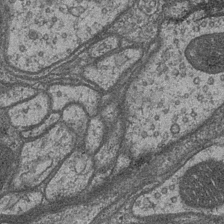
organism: Drosophila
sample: Optic medulla